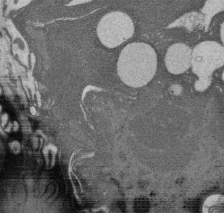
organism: Rat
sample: Salivary granule